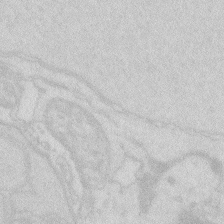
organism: Zebrafish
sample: Macrophage